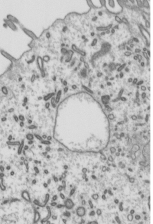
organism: Mouse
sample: Mouse epididymis efferent ductule cilia